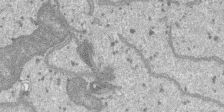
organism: Human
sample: Lung epithelial cells infected with SARS-CoV-2